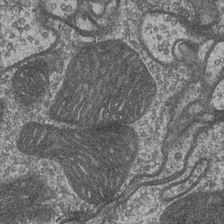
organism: Drosophila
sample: Optic medulla